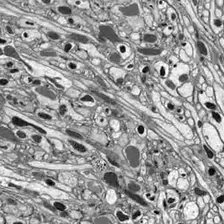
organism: Drosophila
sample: Optic lobe